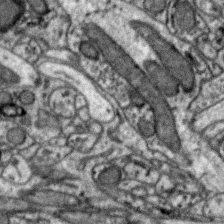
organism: Zebra finch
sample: Brain